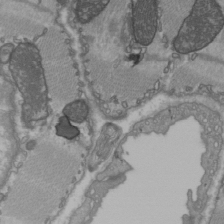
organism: C57BL Mouse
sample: Heart